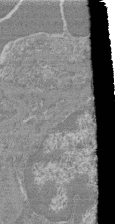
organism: Mouse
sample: Glomerulus